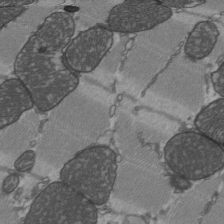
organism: C57BL Mouse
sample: Heart